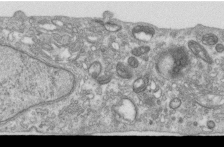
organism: Human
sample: Centriole in RPE cells